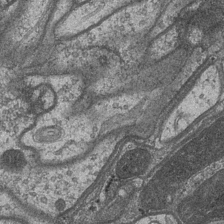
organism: Drosophila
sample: Optic medulla